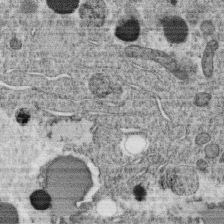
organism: C. elegans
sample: C. elegans oocyte; sperm cells